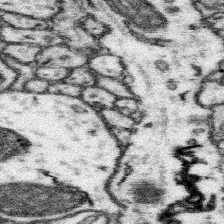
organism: Mouse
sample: Somatosensory cortex neuropil